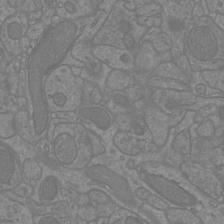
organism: Mouse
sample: Cortical neurons